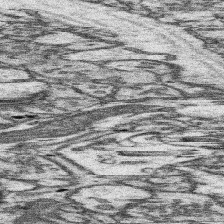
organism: Mouse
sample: Somatosensory cortex neuropil